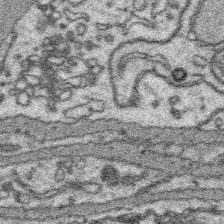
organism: Platynereis dumerilii